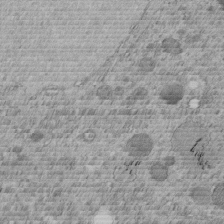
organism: C. elegans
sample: C. elegans embryo early stage